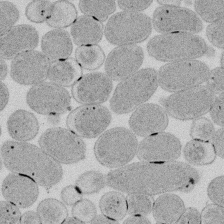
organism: E. coli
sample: Bacterial nucleoid